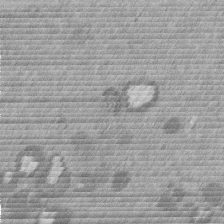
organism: Mouse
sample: Dividing mouse embryo 1 cell stage